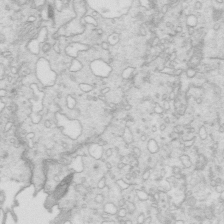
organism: Mouse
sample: Multiciliated cells